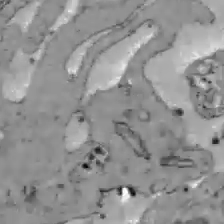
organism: C57BL Mouse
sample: Liver